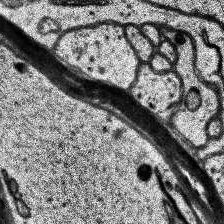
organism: Human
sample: Temporal Lobe